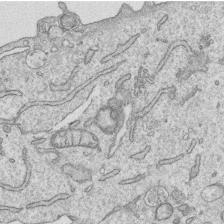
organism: Human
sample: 1205lu cells